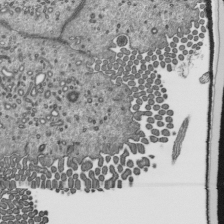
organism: Mouse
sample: Mouse epididymis efferent ductule cilia